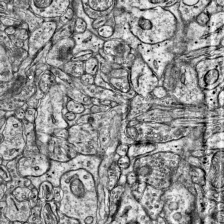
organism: Mouse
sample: Visual Cortex